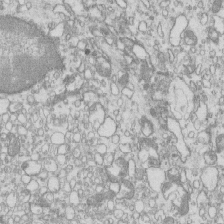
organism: Mouse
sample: Macrophages